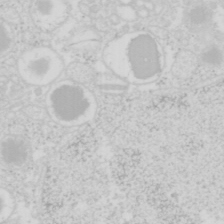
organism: Mouse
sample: Pancreas